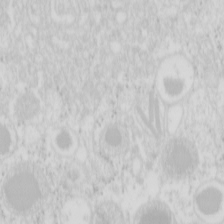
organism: Mouse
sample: Pancreas